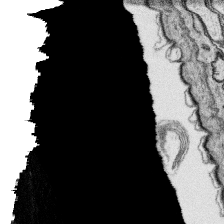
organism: Platynereis dumerilii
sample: Parapodia